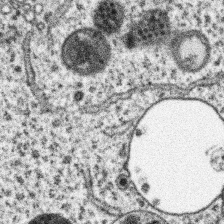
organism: Human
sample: HeLa cells